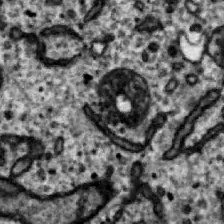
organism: Human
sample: HeLa cells